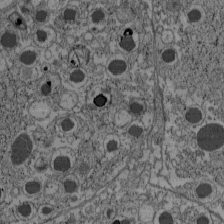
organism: C57BL Mouse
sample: Pancreatic islet